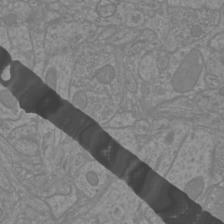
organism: Mouse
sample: Cortical neurons